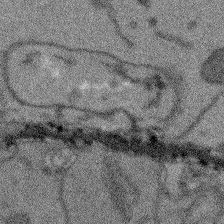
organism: Arabidopsis thaliana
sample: Root tip